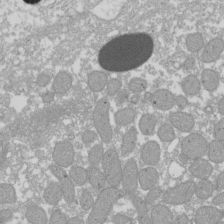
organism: Xenopus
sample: Cilia; centrioles in frog embryo cells